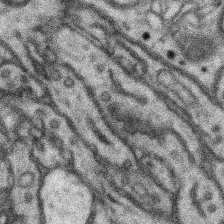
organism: Mouse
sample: Somatosensory cortex neuropil